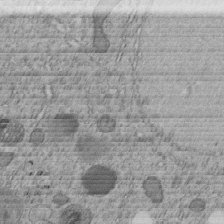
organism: C. elegans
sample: C. elegans embryo early stage